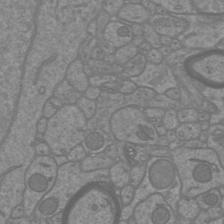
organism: Mouse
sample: Cortical neurons